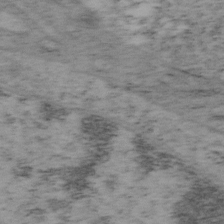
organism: Mouse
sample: OT-I killer T cells with ID8 ovarian cancer cells